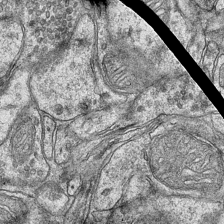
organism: Mouse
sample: CA1 Hippocampus